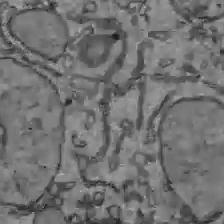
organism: C57BL Mouse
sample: Liver